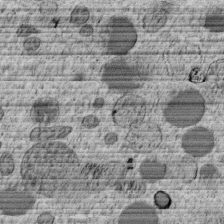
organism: C. elegans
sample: C. elegans embryo early stage